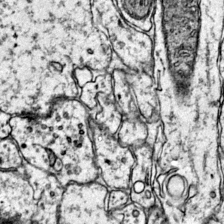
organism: Mouse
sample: Primary visual cortex